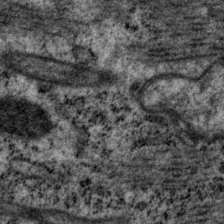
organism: P. pacificus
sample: Pharynx